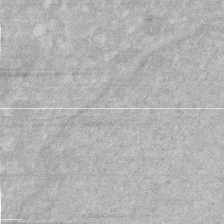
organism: Human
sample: HIV infected U937 cells